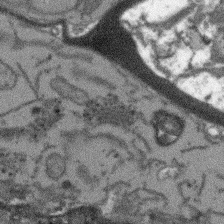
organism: Arabidopsis thaliana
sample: Root tip